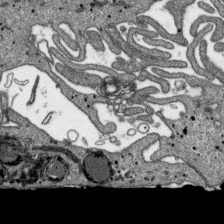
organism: Human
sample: Lung epithelial cells, uninfected (mock) control